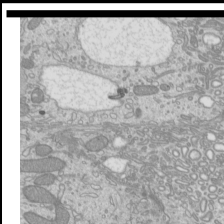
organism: Mouse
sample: Cilia; mouse epididymis